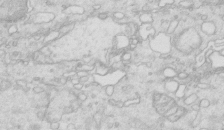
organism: Mouse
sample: Multiciliated cells